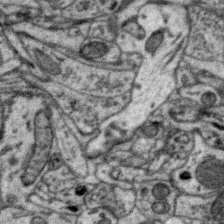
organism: Zebra finch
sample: Brain